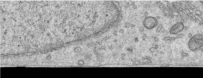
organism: Human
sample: Centriole in RPE cells